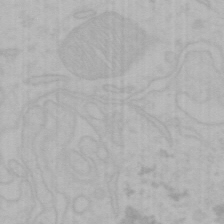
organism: Mouse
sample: Choroid plexus